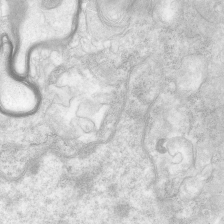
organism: Human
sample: Neocortex